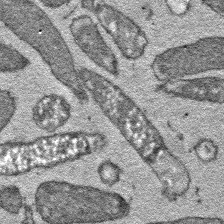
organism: E. coli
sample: E. Coli Bacteria